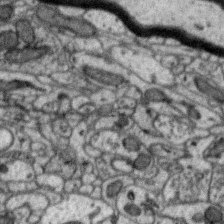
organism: Zebra finch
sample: Brain